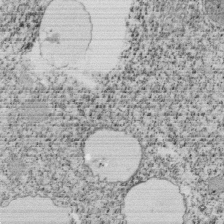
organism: Tetrahymena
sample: Cilia in tetrahymena